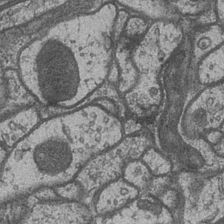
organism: Drosophila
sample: Optic medulla